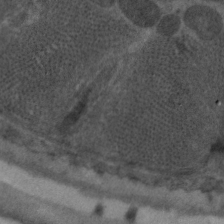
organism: C. elegans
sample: Pharynx